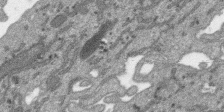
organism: Human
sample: Lung epithelial cells infected with SARS-CoV-2